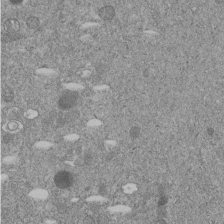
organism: C. elegans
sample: C. elegans embryo early stage